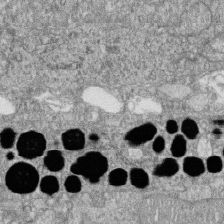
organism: Zebrafish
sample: Cilia; retinal pigment epithelium